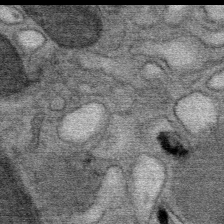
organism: Mouse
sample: Mouse Salivary gland